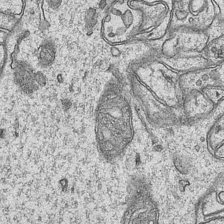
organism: Mouse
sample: CA1 Hippocampus